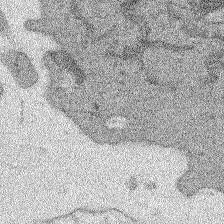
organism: Human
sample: HeLa cells